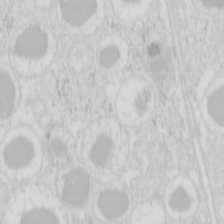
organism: Mouse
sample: Pancreas